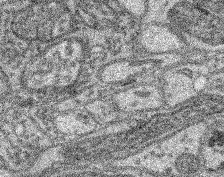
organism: Mouse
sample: Retina